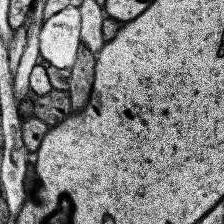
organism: Human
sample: Temporal Lobe